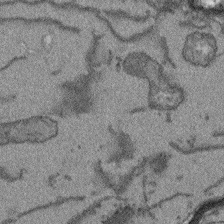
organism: Arabidopsis thaliana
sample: Root tip